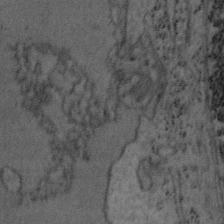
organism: Human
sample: HeLa cells